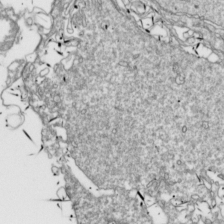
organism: Drosophila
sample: Cell division; meiosis; drosophila spermatocytes